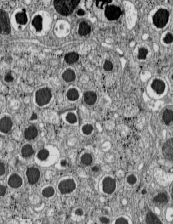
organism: C57BL Mouse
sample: Pancreatic islet